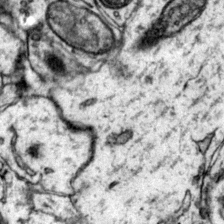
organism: Mouse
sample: Primary visual cortex